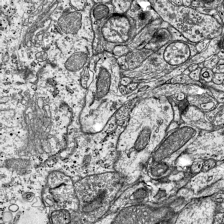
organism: Mouse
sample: Visual Cortex